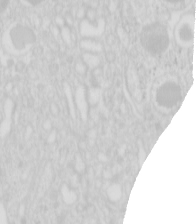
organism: Mouse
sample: Pancreas